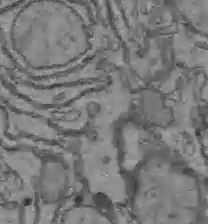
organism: C57BL Mouse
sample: Liver